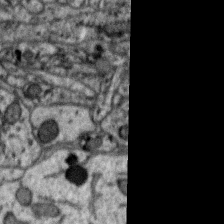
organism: Zebra finch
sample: Brain